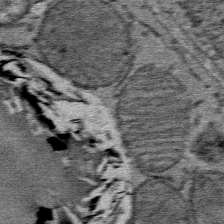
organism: Mouse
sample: Mouse Salivary gland